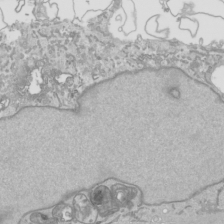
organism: Human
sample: Mitochondria in HCT116 cells